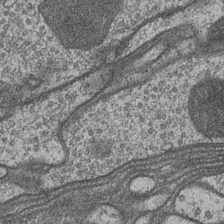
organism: Drosophila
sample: Optic medulla